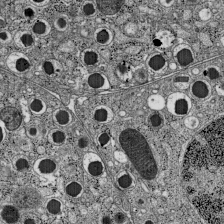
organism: C57BL Mouse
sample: Pancreatic islet